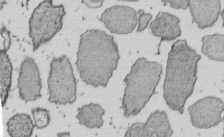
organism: E. coli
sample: Bacterial nucleoid